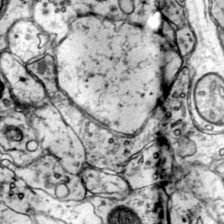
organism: Mouse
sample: Primary visual cortex